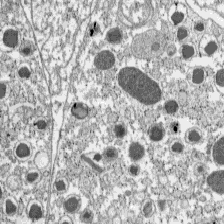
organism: C57BL Mouse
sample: Pancreatic islet